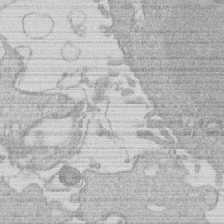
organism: Human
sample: Macrophage cells